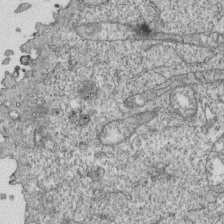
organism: Human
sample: HeLa cell HIV synapse